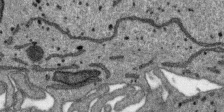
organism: Human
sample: Lung epithelial cells, uninfected (mock) control